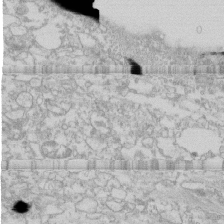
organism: Human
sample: CRL-1474